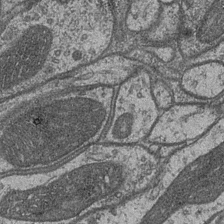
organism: Drosophila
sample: Optic medulla